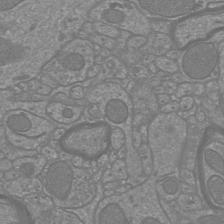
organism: Mouse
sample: Cortical neurons